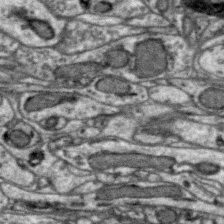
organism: Zebra finch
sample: Brain